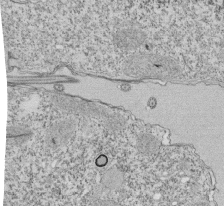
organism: Tetrahymena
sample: Cilia in tetrahymena